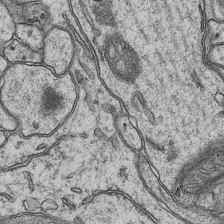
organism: Mouse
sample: CA1 Hippocampus